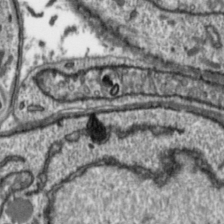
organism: Toxoplasma gondii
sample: Parasites in a vacuole inside a host cell